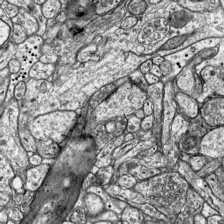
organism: Mouse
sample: Visual Cortex